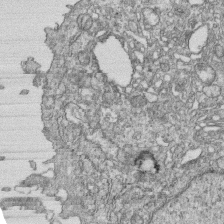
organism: Human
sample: HeLa cell HIV synapse